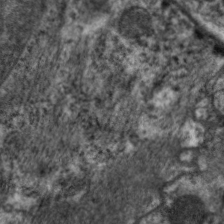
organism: C. elegans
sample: Pharynx